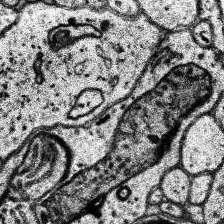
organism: Human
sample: Temporal Lobe